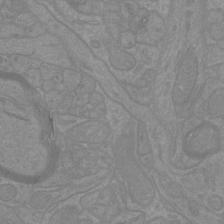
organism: Mouse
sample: Cortical neurons